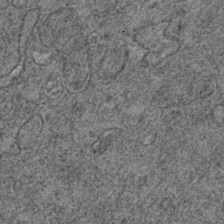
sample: Trachea